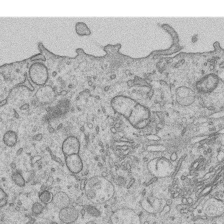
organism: Human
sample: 1205lu cells